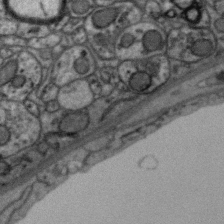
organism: Zebra finch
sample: Brain